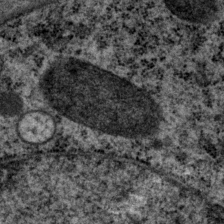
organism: P. pacificus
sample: Pharynx